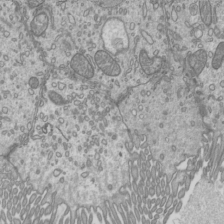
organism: Mouse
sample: Cilia; mouse epididymis